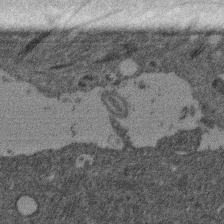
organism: Mouse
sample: Dividing mouse embryo 1 cell stage